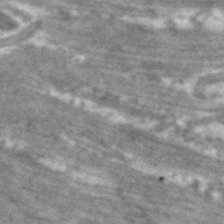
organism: C. elegans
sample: Pharynx